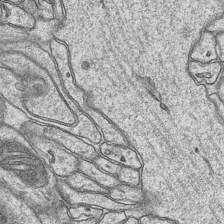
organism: Mouse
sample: CA1 Hippocampus